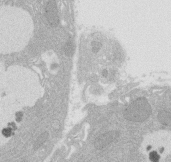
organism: Rat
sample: Salivary granule